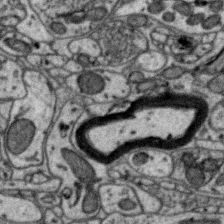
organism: Zebra finch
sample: Brain